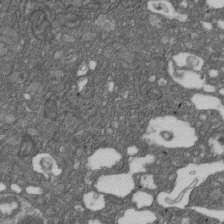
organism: Drosophila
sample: Nephrocyte